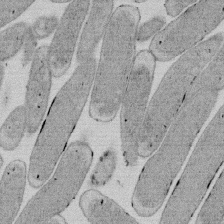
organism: E. coli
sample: Bacterial nucleoid